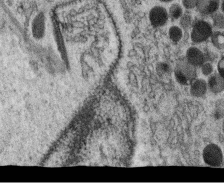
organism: C. elegans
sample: C. elegans oocyte; sperm cells